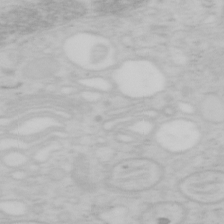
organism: Mouse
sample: OT-I killer T cells with ID8 ovarian cancer cells